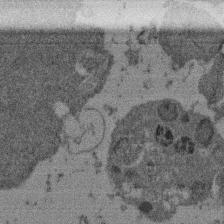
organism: Mouse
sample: Dividing mouse embryo 1 cell stage